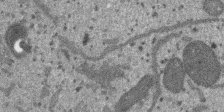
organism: Human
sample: Lung epithelial cells infected with SARS-CoV-2